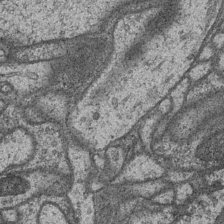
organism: Drosophila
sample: Optic medulla